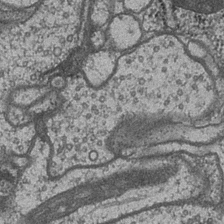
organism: Drosophila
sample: Optic medulla